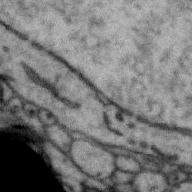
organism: Zebra finch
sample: Brain